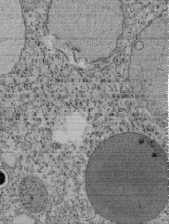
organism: Tetrahymena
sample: Cilia in tetrahymena